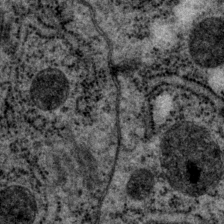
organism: P. pacificus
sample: Pharynx